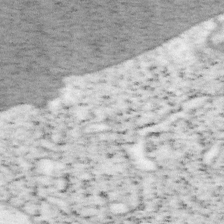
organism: Mouse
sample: OT-I killer T cells with ID8 ovarian cancer cells